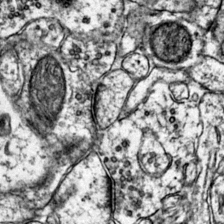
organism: Mouse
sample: Primary visual cortex